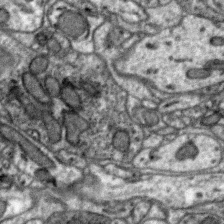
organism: Zebra finch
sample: Brain